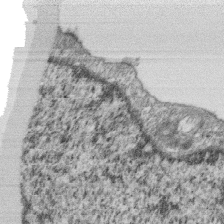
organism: African green monkey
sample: Vero E6 cells infected with SARS-CoV-2